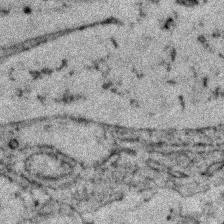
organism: Zebrafish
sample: Zebrafish embryo